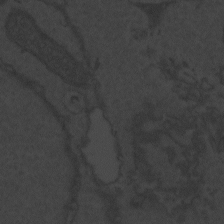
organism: Zebrafish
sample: Macrophage infected with Toxoplasma gondii